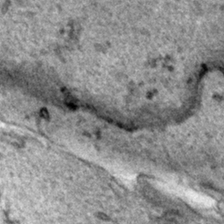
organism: Human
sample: Mitochondria in HCT116 cells